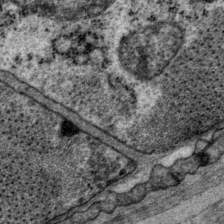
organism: P. pacificus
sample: Pharynx